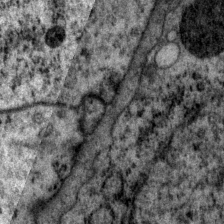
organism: P. pacificus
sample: Pharynx